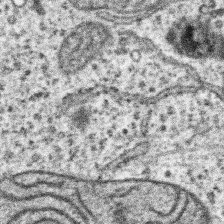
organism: Human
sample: HeLa cells